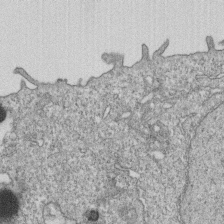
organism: Human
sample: HeLa cell HIV synapse